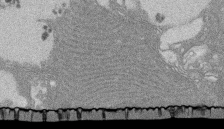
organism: Rat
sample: Salivary granule